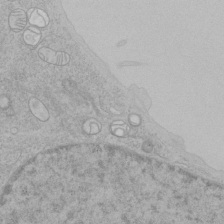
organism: Human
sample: Mitochondria in HCT116 cells